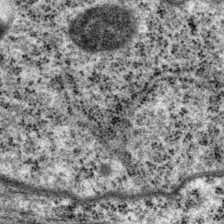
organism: P. pacificus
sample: Pharynx